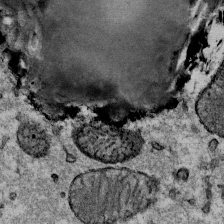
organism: Mouse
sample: Mouse Salivary gland